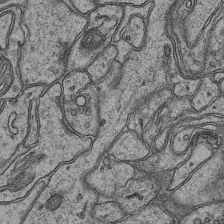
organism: Mouse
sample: CA1 Hippocampus